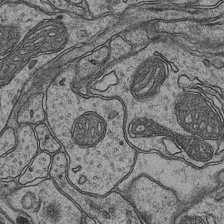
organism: Mouse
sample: CA1 Hippocampus